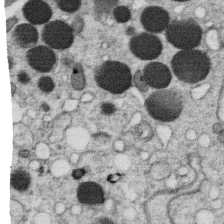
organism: C. elegans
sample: C. elegans oocyte; sperm cells